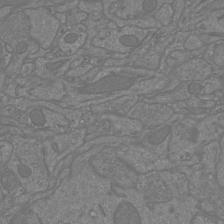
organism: Mouse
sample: Cortical neurons